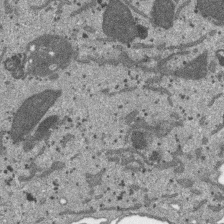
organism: Human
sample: Lung epithelial cells infected with SARS-CoV-2